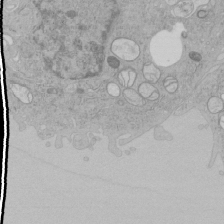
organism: Human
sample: Mitochondria in HCT116 cells